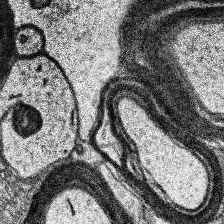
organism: Human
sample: Temporal Lobe